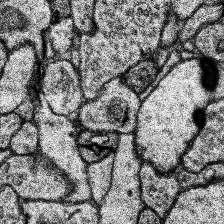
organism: Human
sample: Temporal Lobe